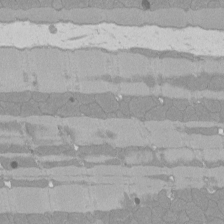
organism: Rat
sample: Left ventricle